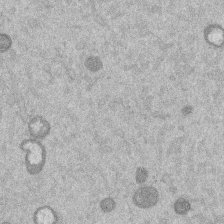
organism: Mouse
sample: Dividing mouse embryo 1 cell stage